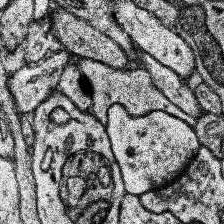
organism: Human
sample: Temporal Lobe